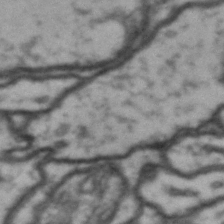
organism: Drosophila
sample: Brain